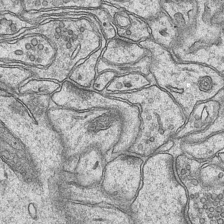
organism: Mouse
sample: CA1 Hippocampus